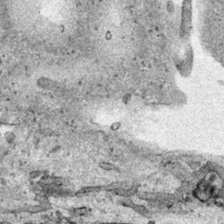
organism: Human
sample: Mitochondria in HCT116 cells